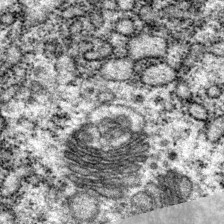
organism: P. pacificus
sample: Pharynx